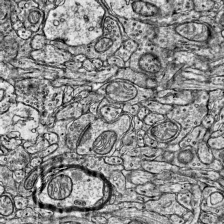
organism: Mouse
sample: Visual Cortex